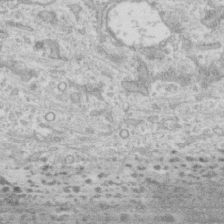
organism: Human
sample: CRL-1474